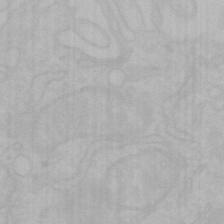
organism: Mouse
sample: Choroid plexus